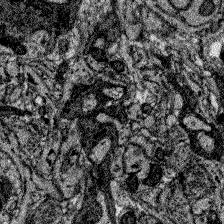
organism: Zebrafish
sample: Larval olfactory bulb